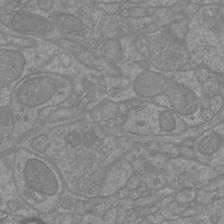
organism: Mouse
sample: Cortical neurons